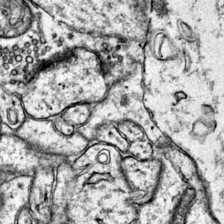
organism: Mouse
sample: Primary visual cortex